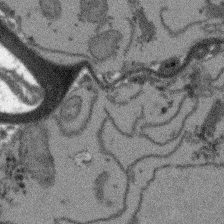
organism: Arabidopsis thaliana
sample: Root tip